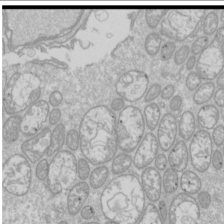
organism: Drosophila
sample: Cell division; meiosis; drosophila spermatocytes